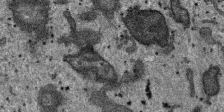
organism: Human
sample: Lung epithelial cells, uninfected (mock) control